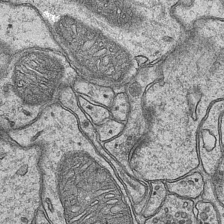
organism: Mouse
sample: CA1 Hippocampus